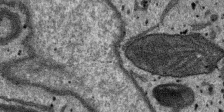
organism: Human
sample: Lung epithelial cells, uninfected (mock) control